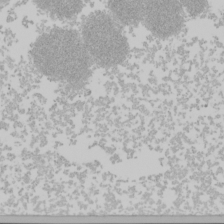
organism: Mouse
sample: Cancer cell death in ED-1 cells